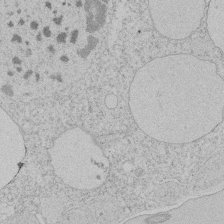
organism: Tetrahymena